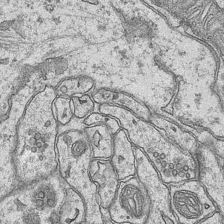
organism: Mouse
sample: CA1 Hippocampus